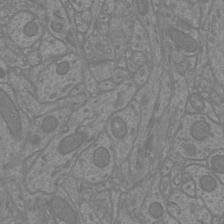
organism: Mouse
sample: Cortical neurons